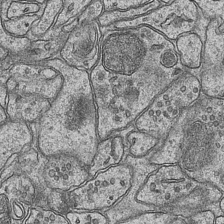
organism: Mouse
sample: CA1 Hippocampus